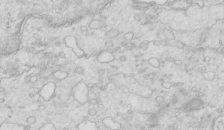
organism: Mouse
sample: Multiciliated cells